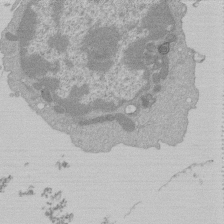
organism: Mouse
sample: Activated Pmel transgenic CD8+ T Cells